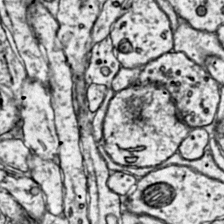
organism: Mouse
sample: Primary visual cortex